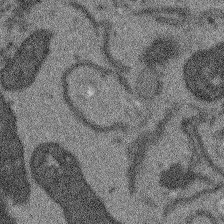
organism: Arabidopsis thaliana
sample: Root tip